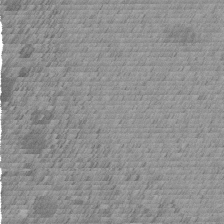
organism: C. elegans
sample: C. elegans embryo early stage